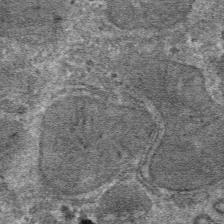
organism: Mouse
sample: Mouse hepatocytes